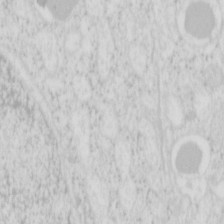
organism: Mouse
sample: Pancreas